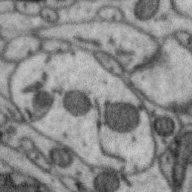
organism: Zebra finch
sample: Brain